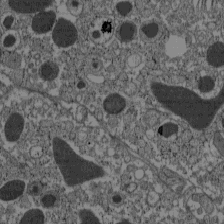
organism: C57BL Mouse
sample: Pancreatic islet